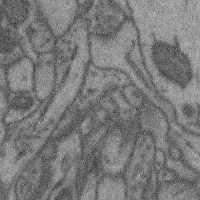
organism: Mouse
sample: Cerebral cortex